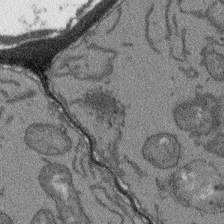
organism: Arabidopsis thaliana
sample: Root tip